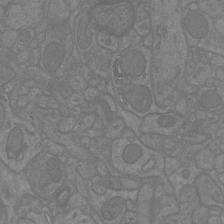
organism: Mouse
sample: Cortical neurons